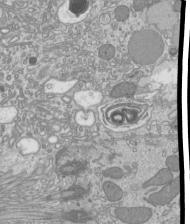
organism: Mouse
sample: Cilia; mouse epididymis